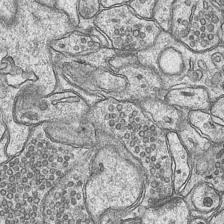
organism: Mouse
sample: CA1 Hippocampus